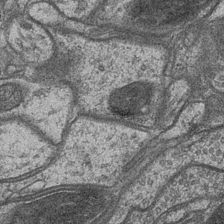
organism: Drosophila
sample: Optic medulla